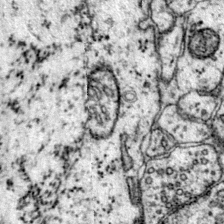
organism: Mouse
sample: Primary visual cortex